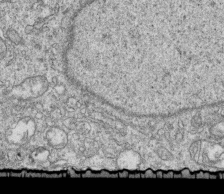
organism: Human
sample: HeLa cell HIV synapse